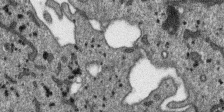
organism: Human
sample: Lung epithelial cells infected with SARS-CoV-2